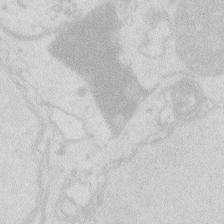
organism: Zebrafish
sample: Macrophage